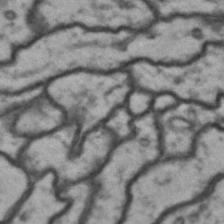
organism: Drosophila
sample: Brain